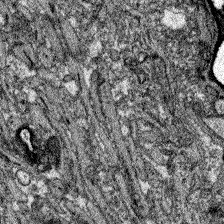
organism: Zebrafish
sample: Larval olfactory bulb